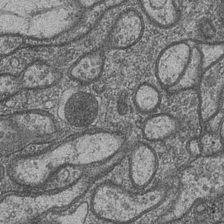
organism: Drosophila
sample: Optic medulla